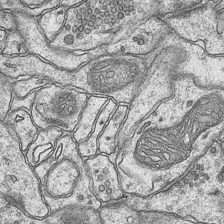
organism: Mouse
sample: CA1 Hippocampus